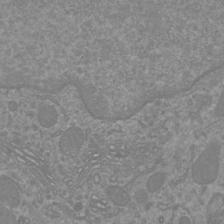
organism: Mouse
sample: Cortical neurons